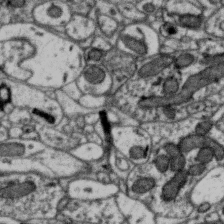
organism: Zebra finch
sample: Brain